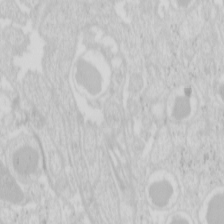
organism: Mouse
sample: Pancreas